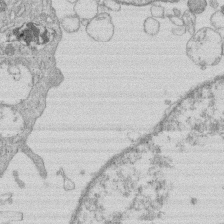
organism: Human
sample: Macrophage cells